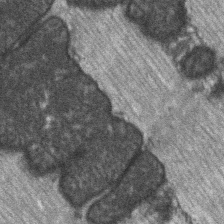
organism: C57BL Mouse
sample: Soleus